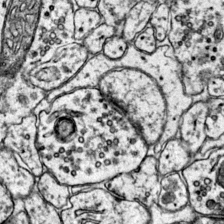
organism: Mouse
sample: Primary visual cortex